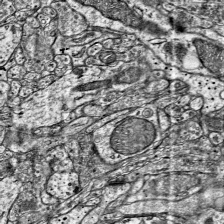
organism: Mouse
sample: Visual Cortex